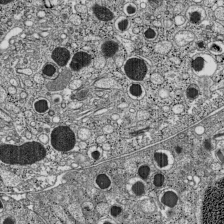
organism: C57BL Mouse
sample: Pancreatic islet